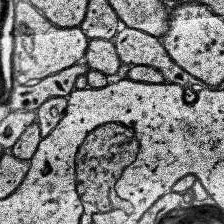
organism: Human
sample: Temporal Lobe